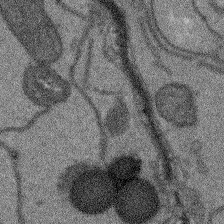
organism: Arabidopsis thaliana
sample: Root tip